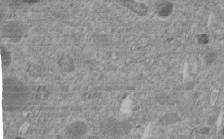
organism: C. elegans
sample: C. elegans embryo early stage